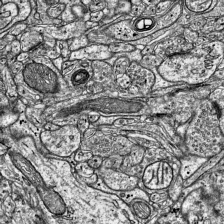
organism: Mouse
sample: Visual Cortex